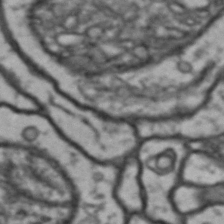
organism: Drosophila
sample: Brain